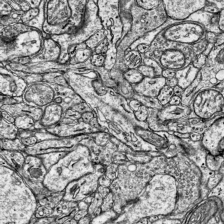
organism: Mouse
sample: Visual Cortex